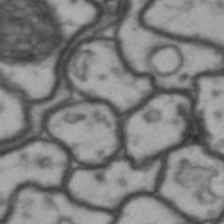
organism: Drosophila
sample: Brain